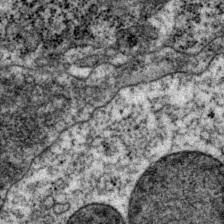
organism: P. pacificus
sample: Pharynx